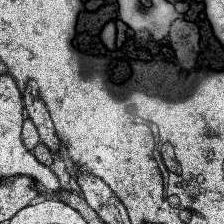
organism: Human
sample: Temporal Lobe